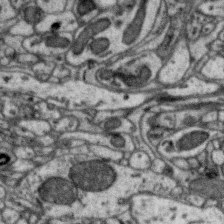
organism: Zebra finch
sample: Brain